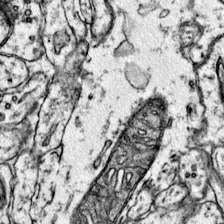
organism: Mouse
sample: Primary visual cortex